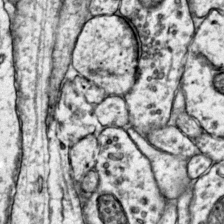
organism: Mouse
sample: Primary visual cortex